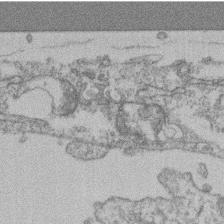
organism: Mouse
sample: T cell stromal cell synapse